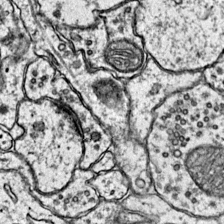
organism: Mouse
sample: Primary visual cortex